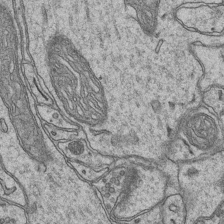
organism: Mouse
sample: CA1 Hippocampus